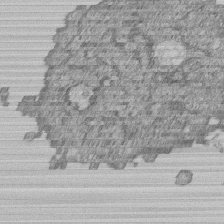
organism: Human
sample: MDA-MB-231 cells